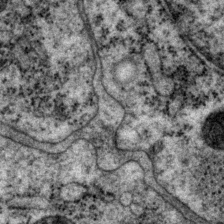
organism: P. pacificus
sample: Pharynx